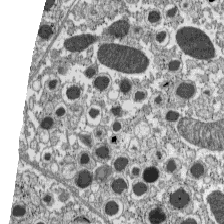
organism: C57BL Mouse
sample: Pancreatic islet